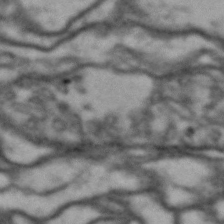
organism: Drosophila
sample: Brain